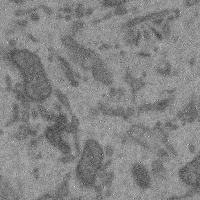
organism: Mouse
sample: Cerebral cortex